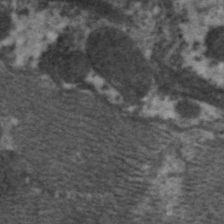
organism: C. elegans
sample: Pharynx